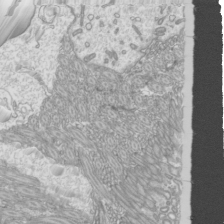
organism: Mouse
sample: Cilia; mouse epididymis